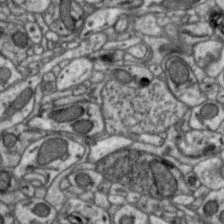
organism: Zebra finch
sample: Brain